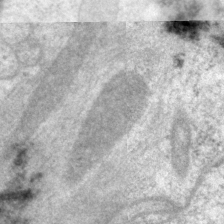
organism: P. pacificus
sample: Pharynx